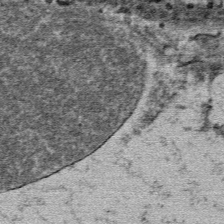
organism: Mouse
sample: Mouse Salivary gland